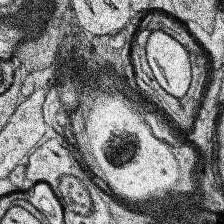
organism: Human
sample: Temporal Lobe